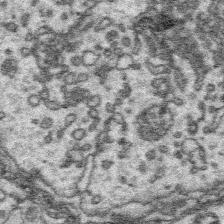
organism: Platynereis dumerilii